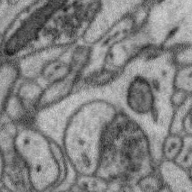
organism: Zebra finch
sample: Brain